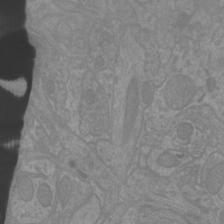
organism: Mouse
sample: Cortical neurons